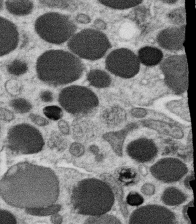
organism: C. elegans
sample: C. elegans oocyte; sperm cells